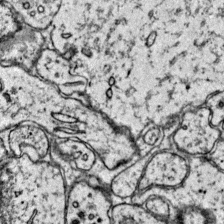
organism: Mouse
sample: Primary visual cortex